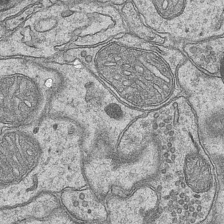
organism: Mouse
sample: CA1 Hippocampus